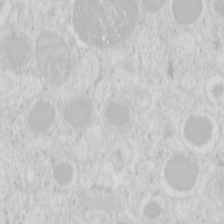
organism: Mouse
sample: Pancreas